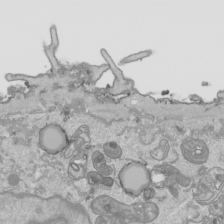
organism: Human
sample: Mitochondria in HCT116 cells